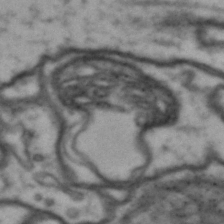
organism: Drosophila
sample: Brain